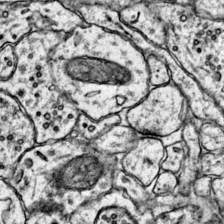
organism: Mouse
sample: Primary visual cortex